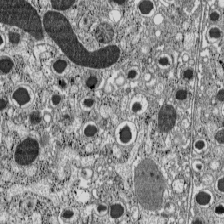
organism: C57BL Mouse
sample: Pancreatic islet